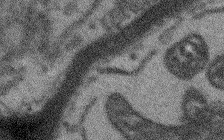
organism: Arabidopsis thaliana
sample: Root tip